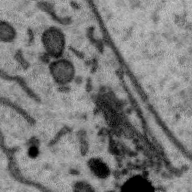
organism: Zebra finch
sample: Brain